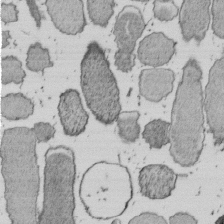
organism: E. coli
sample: Bacterial nucleoid